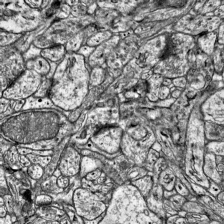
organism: Mouse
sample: Visual Cortex